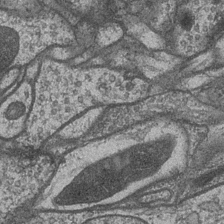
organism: Drosophila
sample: Optic medulla